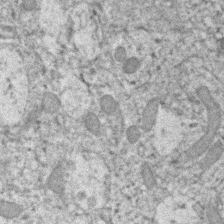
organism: Human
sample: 1205lu cells